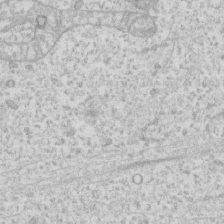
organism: Human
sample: Fibroblast cells